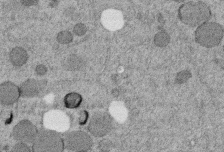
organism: C. elegans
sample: C. elegans embryo early stage